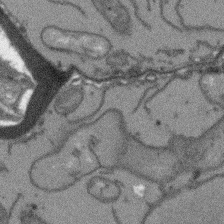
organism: Arabidopsis thaliana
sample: Root tip